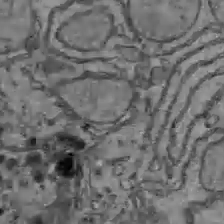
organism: C57BL Mouse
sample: Liver